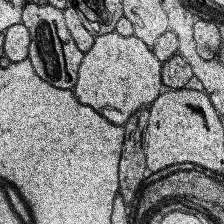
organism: Human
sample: Temporal Lobe